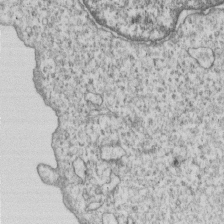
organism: Human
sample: MDA-MB-231 cells